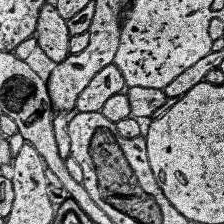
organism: Human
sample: Temporal Lobe